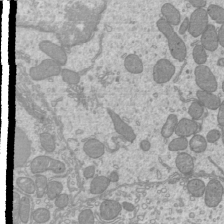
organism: Mouse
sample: Cilia; mouse epididymis